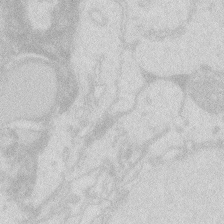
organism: Zebrafish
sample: Macrophage